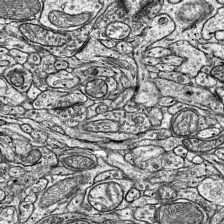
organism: Mouse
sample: Visual Cortex